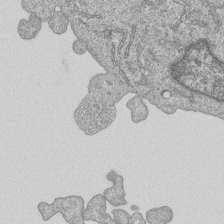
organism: Human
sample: MDA-MB-231 cells